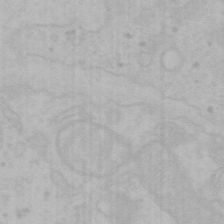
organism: Mouse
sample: Choroid plexus